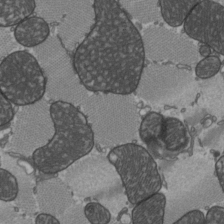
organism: C57BL Mouse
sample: Heart